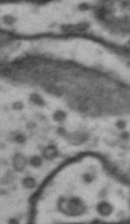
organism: Drosophila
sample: Brain